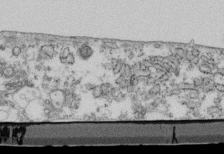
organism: Mouse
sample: Cilia; retinal pigment epithelium